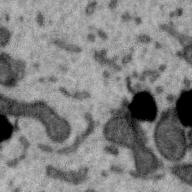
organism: Zebra finch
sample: Brain